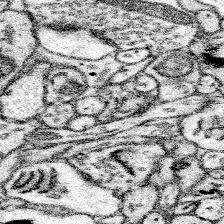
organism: Mouse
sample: Somatosensory cortex neuropil